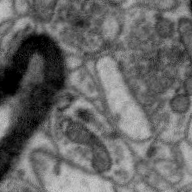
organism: Zebra finch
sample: Brain